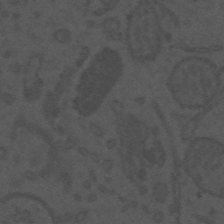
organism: Mouse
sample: Suprachiasmatic nucleus